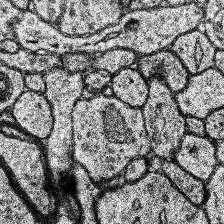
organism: Human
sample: Temporal Lobe